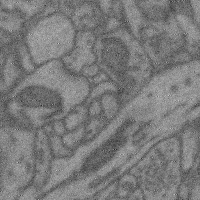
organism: Mouse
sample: Cerebral cortex